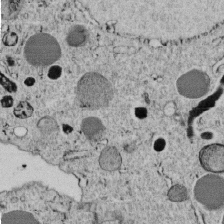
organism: C. elegans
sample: C. elegans embryo early stage